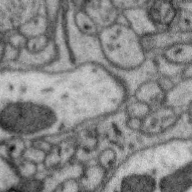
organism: Zebra finch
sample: Brain